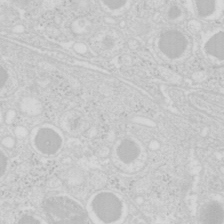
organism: Mouse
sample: Pancreas